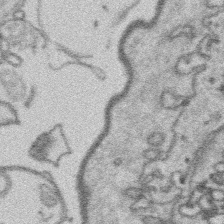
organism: Platynereis dumerilii